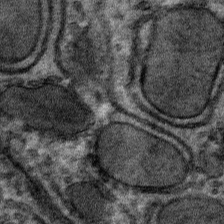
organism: Mouse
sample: Mouse hepatocytes